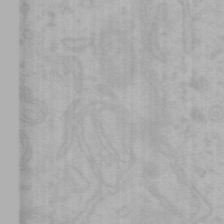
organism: Mouse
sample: Choroid plexus